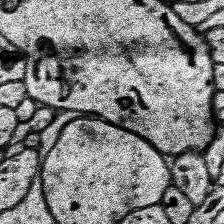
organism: Human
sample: Temporal Lobe